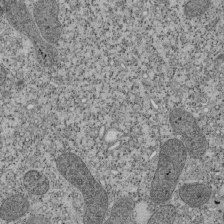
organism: Tetrahymena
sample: Cilia in tetrahymena